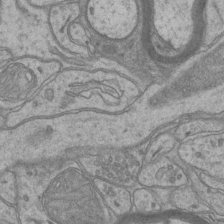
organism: Mouse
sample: CA1 Hippocampus